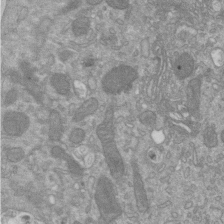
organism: Mouse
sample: ED-1 cell nuclei; centrioles